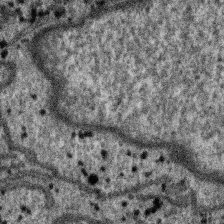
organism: Human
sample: Lung epithelial cells infected with SARS-CoV-2